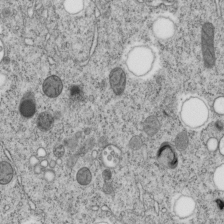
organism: C. elegans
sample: C. elegans embryo early stage